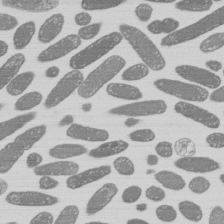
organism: E. coli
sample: Bacterial nucleoid